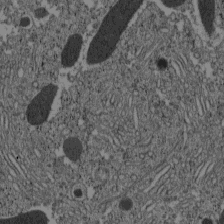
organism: C57BL Mouse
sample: Pancreatic islet